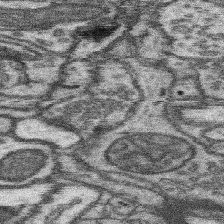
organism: Mouse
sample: Somatosensory cortex neuropil